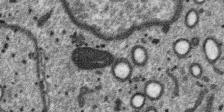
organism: Human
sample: Lung epithelial cells infected with SARS-CoV-2